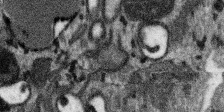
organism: Human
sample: Lung epithelial cells infected with SARS-CoV-2